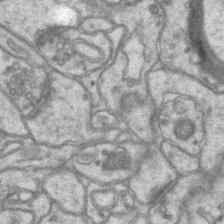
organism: Mouse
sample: CA1 Hippocampus